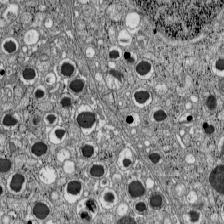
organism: C57BL Mouse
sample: Pancreatic islet